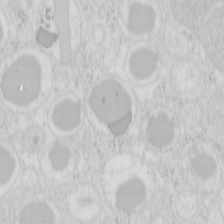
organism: Mouse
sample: Pancreas